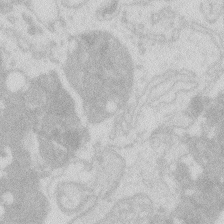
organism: Zebrafish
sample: Macrophage